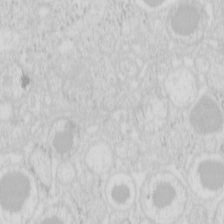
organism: Mouse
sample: Pancreas